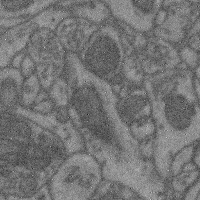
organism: Mouse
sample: Cerebral cortex